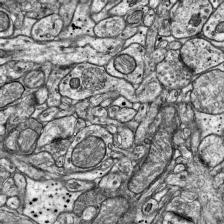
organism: Mouse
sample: Visual Cortex